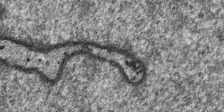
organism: Human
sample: Lung epithelial cells infected with SARS-CoV-2